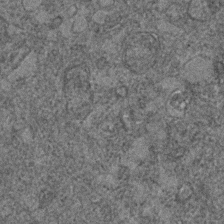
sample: Trachea